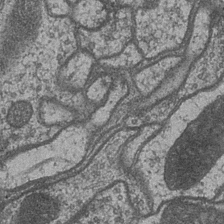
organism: Drosophila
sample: Optic medulla